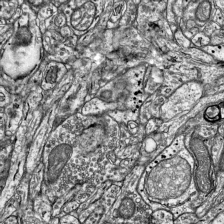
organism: Mouse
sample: Visual Cortex